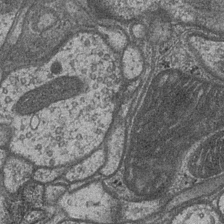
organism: Drosophila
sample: Optic medulla